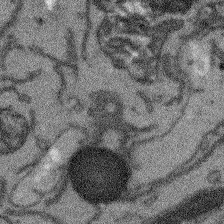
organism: Arabidopsis thaliana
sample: Root tip